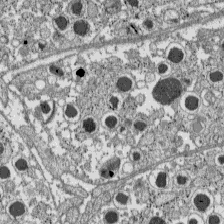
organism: C57BL Mouse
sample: Pancreatic islet